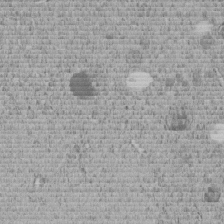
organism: C. elegans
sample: C. elegans embryo early stage